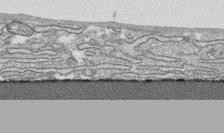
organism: Human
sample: CRL-1474